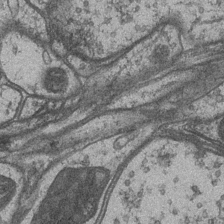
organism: Drosophila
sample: Optic medulla